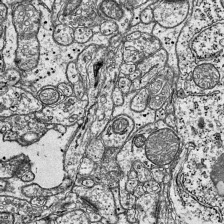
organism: Mouse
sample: Visual Cortex